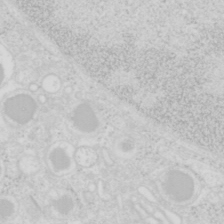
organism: Mouse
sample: Pancreas